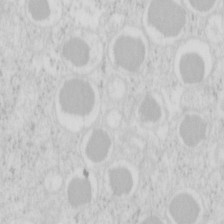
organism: Mouse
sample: Pancreas